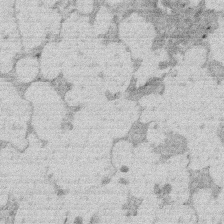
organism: Rat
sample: Salivary granule